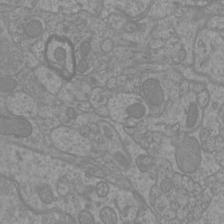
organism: Mouse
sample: Cortical neurons